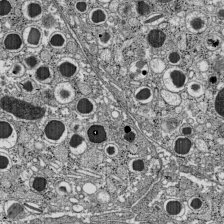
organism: C57BL Mouse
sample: Pancreatic islet